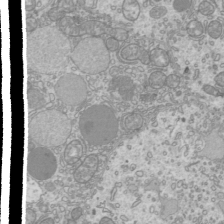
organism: Mouse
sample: Cilia; mouse epididymis